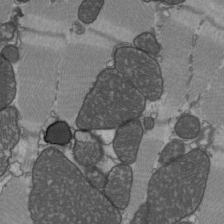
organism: C57BL Mouse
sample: Heart